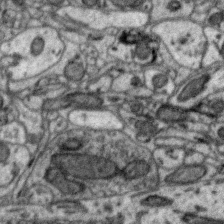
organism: Zebra finch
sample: Brain